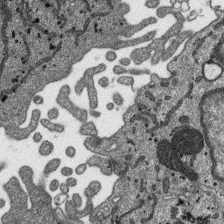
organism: Human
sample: Lung epithelial cells infected with SARS-CoV-2